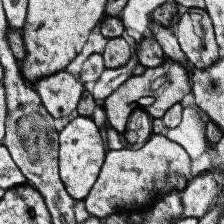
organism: Human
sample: Temporal Lobe